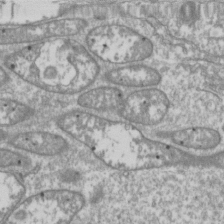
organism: Drosophila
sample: Cell division; meiosis; drosophila spermatocytes